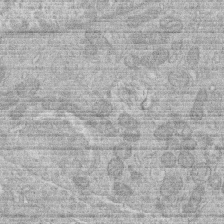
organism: Human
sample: Macrophage cells